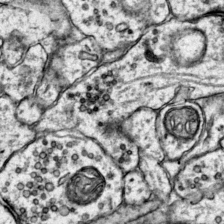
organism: Mouse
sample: Primary visual cortex